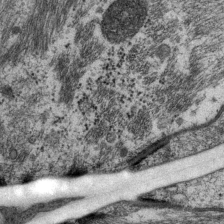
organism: P. pacificus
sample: Pharynx